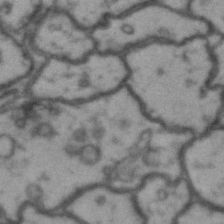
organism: Drosophila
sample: Brain